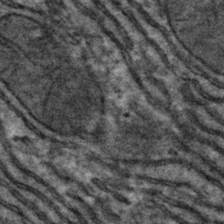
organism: Mouse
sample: Mouse hepatocytes